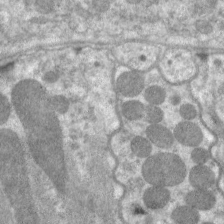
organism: C. elegans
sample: Pharynx